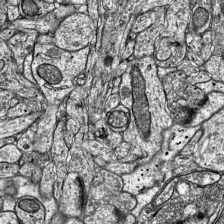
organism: Mouse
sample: Visual Cortex